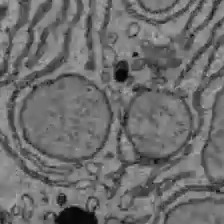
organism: C57BL Mouse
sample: Liver